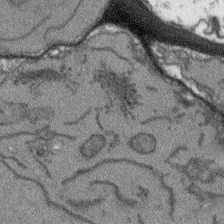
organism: Arabidopsis thaliana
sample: Root tip